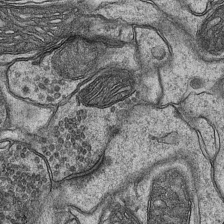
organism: Mouse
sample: CA1 Hippocampus